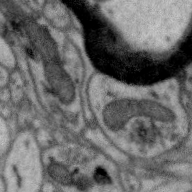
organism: Zebra finch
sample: Brain